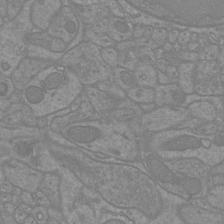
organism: Mouse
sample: Cortical neurons